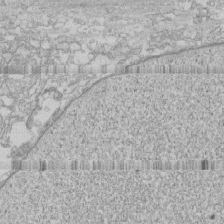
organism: Human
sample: CRL-1474